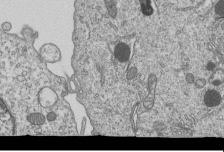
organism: Human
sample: MDA-MB-231 cells